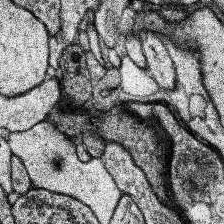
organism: Human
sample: Temporal Lobe